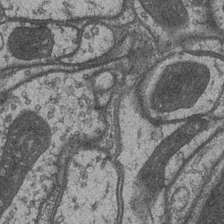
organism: Drosophila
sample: Optic medulla